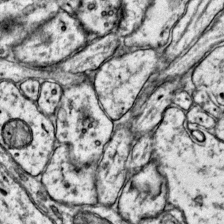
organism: Mouse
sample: Primary visual cortex